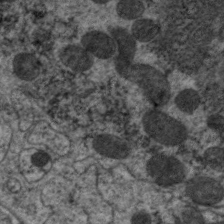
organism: C. elegans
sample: Pharynx